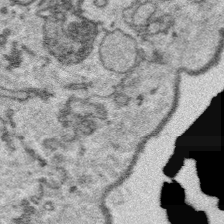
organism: Platynereis dumerilii